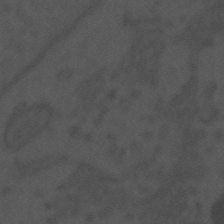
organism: Mouse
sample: Suprachiasmatic nucleus